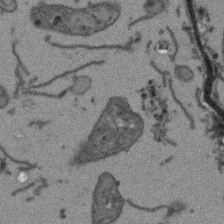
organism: Arabidopsis thaliana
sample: Root tip